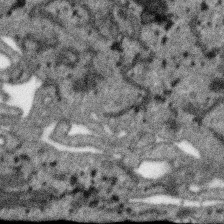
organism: Human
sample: Lung epithelial cells infected with SARS-CoV-2